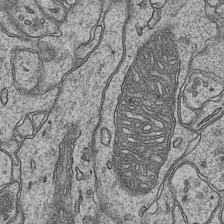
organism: Mouse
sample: CA1 Hippocampus